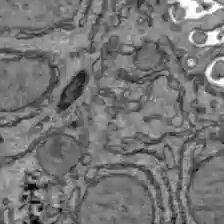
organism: C57BL Mouse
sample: Liver